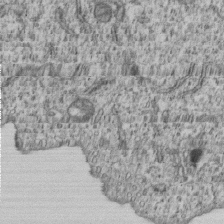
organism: Human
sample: MDA-MB-231 cells